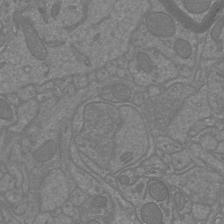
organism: Mouse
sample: Cortical neurons